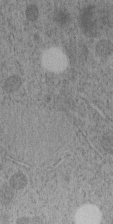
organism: C. elegans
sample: C. elegans embryo early stage